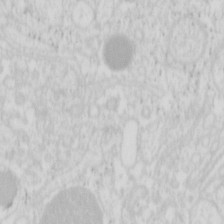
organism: Mouse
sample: Pancreas